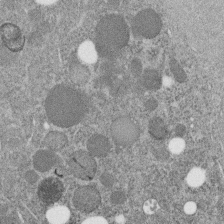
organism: C. elegans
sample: C. elegans embryo early stage